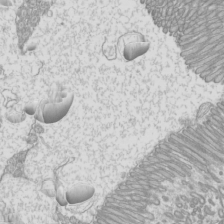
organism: Mouse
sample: Cilia; mouse epididymis